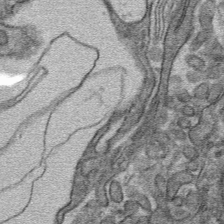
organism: Mouse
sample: Mouse hepatocytes